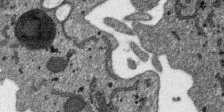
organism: Human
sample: Lung epithelial cells infected with SARS-CoV-2